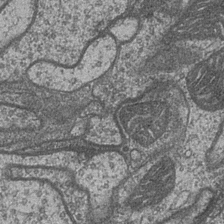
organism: Drosophila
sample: Optic medulla